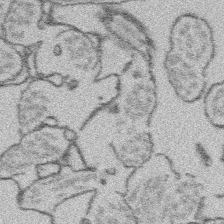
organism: Platynereis dumerilii